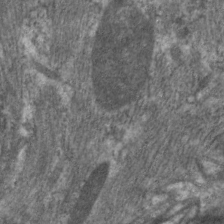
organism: C. elegans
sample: Pharynx